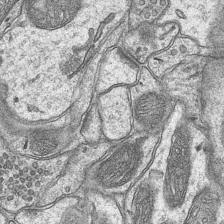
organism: Mouse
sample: CA1 Hippocampus